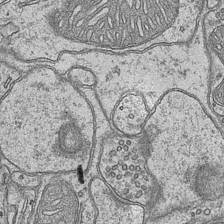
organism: Mouse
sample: CA1 Hippocampus